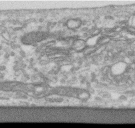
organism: Human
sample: Centriole in RPE cells